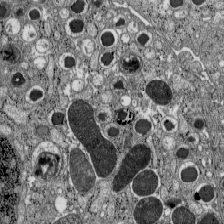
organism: C57BL Mouse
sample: Pancreatic islet